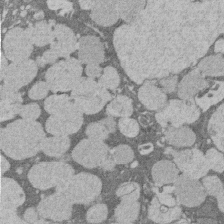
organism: Rat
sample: Salivary granule